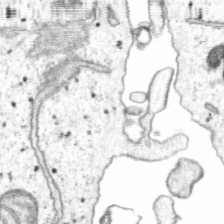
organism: Human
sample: HeLa cells